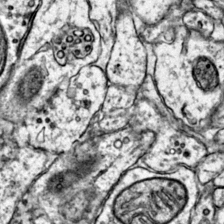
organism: Mouse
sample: Primary visual cortex